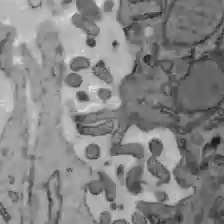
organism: C57BL Mouse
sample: Liver